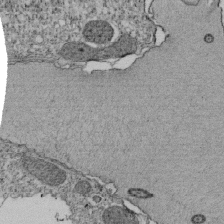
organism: Tetrahymena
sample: Cilia in tetrahymena